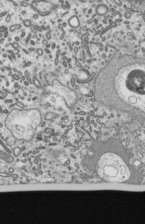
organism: Mouse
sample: Mouse epididymis efferent ductule cilia